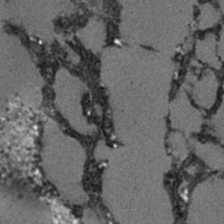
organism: C. elegans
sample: C. elegans embryo